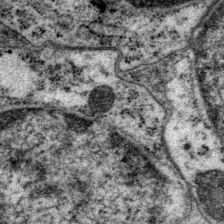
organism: P. pacificus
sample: Pharynx